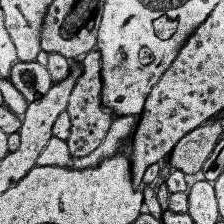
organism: Human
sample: Temporal Lobe